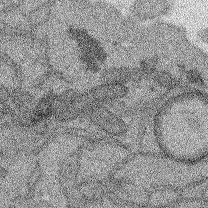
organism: Human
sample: HeLa cells